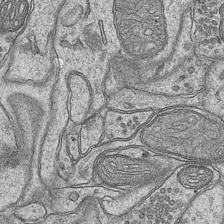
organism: Mouse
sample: CA1 Hippocampus